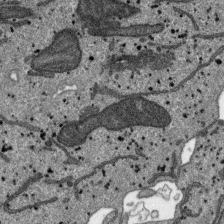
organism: Human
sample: Lung epithelial cells, uninfected (mock) control